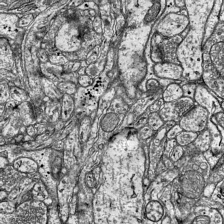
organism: Mouse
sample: Visual Cortex